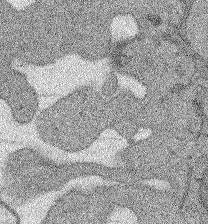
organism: Human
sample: HeLa cells